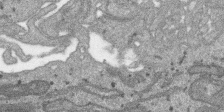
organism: Human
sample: Lung epithelial cells infected with SARS-CoV-2